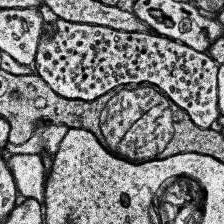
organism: Human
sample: Temporal Lobe